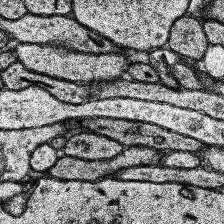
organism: Human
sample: Temporal Lobe